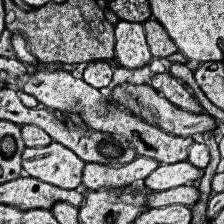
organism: Human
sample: Temporal Lobe